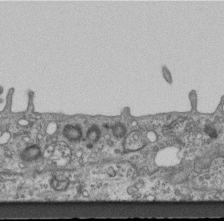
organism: Mouse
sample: Centriole in ependymal cells